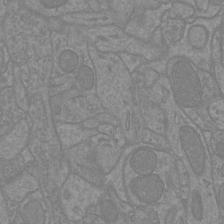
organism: Mouse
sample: Cortical neurons